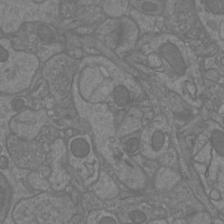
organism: Mouse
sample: Cortical neurons